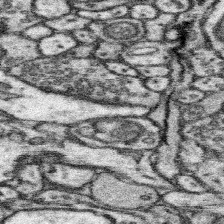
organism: Mouse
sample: Somatosensory cortex neuropil